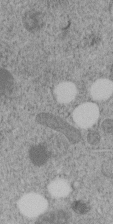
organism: C. elegans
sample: C. elegans embryo early stage